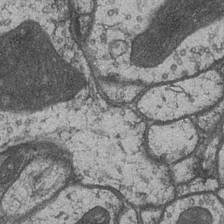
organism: Drosophila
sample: Optic medulla